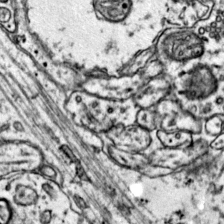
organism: Mouse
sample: Primary visual cortex